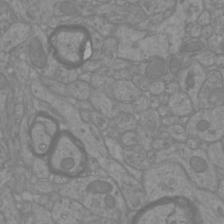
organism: Mouse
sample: Cortical neurons